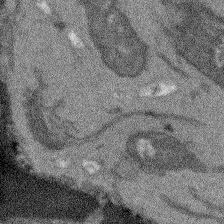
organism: Arabidopsis thaliana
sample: Root tip